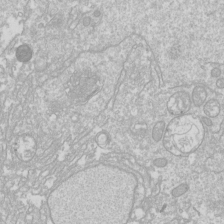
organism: Drosophila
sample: Cell division; meiosis; drosophila spermatocytes